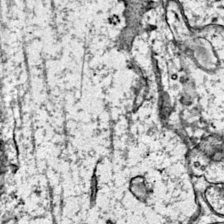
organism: Mouse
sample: Primary visual cortex